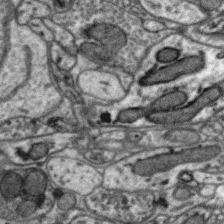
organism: Zebra finch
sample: Brain